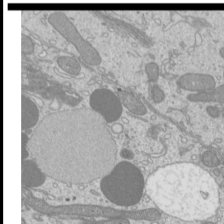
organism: Mouse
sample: Cilia; mouse epididymis